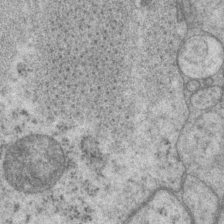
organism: P. pacificus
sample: Pharynx